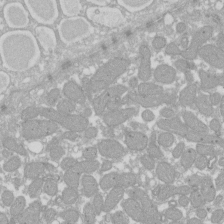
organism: Xenopus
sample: Cilia; centrioles in frog embryo cells